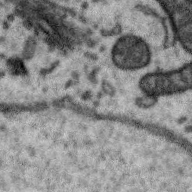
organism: Zebra finch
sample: Brain